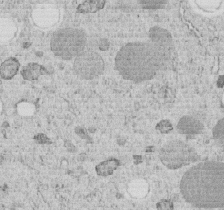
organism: C. elegans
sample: C. elegans embryo early stage